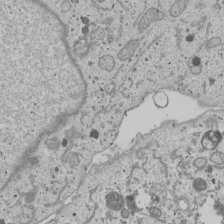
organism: Human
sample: Mitochondria in U2OS cells